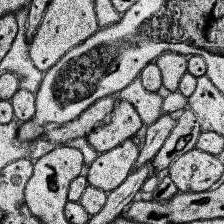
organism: Human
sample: Temporal Lobe